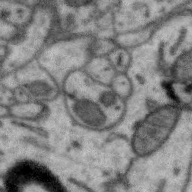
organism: Zebra finch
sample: Brain